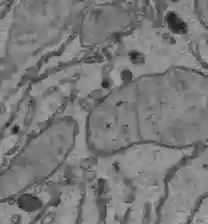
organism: C57BL Mouse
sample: Liver